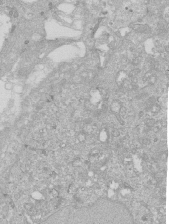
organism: Human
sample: Caco-2 cells